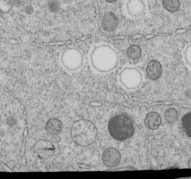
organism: C. elegans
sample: C. elegans embryo early stage